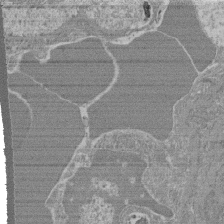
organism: Mouse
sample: Glomerulus